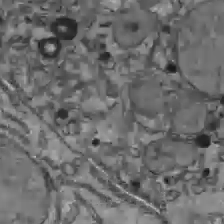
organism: C57BL Mouse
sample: Liver